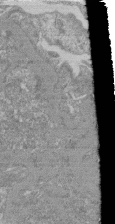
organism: Mouse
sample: Glomerulus